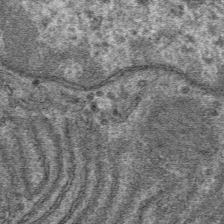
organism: Mouse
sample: Mouse hepatocytes